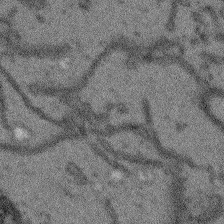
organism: Arabidopsis thaliana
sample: Root tip